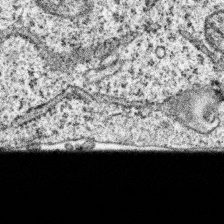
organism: Human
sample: HeLa cells